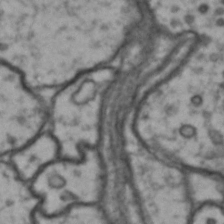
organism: Drosophila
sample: Brain